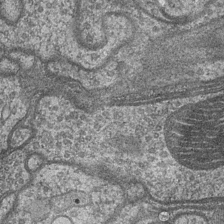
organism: Drosophila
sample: Optic medulla